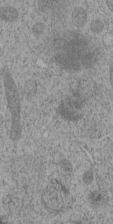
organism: C. elegans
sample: C. elegans embryo early stage